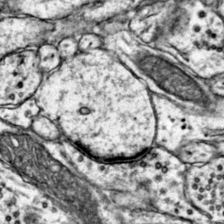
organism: Mouse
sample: Primary visual cortex